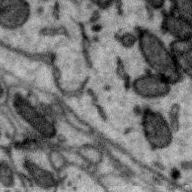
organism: Zebra finch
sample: Brain